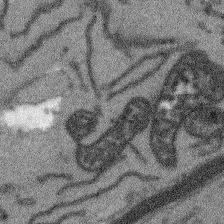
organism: Arabidopsis thaliana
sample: Root tip